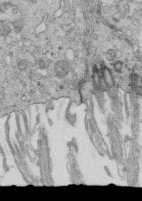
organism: Mouse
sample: Multiciliated cells